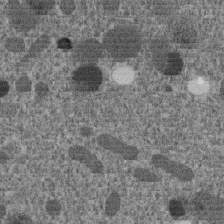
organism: C. elegans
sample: C. elegans embryo early stage